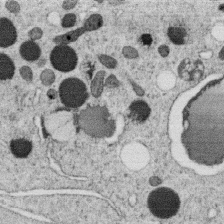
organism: C. elegans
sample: C. elegans oocyte; sperm cells